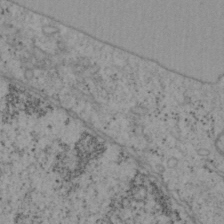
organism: Human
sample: HeLa cells